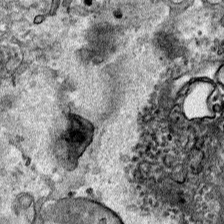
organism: Human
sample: Mitochondria in HCT116 cells